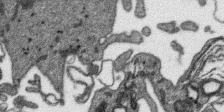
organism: Human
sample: Lung epithelial cells infected with SARS-CoV-2